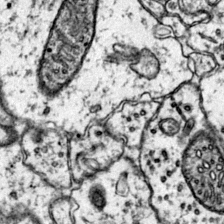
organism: Mouse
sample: Primary visual cortex